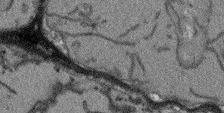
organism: Arabidopsis thaliana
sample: Root tip